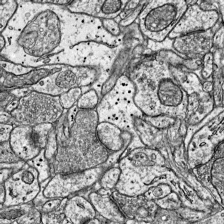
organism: Mouse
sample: Visual Cortex